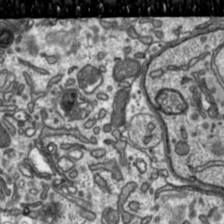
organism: Toxoplasma gondii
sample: Parasites in a vacuole inside a host cell